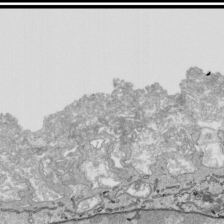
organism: Human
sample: Mitochondria in HCT116 cells